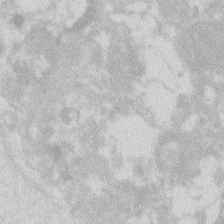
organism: Zebrafish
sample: Macrophage